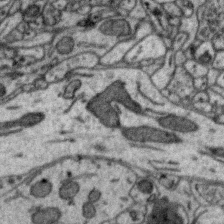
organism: Zebra finch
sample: Brain